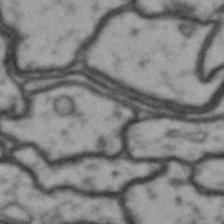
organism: Drosophila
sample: Brain